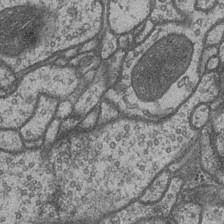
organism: Drosophila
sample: Optic medulla